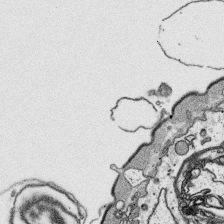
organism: Platynereis dumerilii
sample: Parapodia